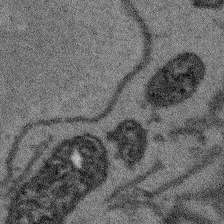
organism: Arabidopsis thaliana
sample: Root tip